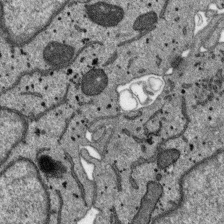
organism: Human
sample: Lung epithelial cells, uninfected (mock) control